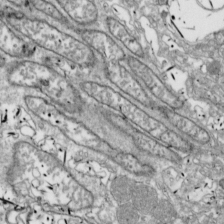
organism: Drosophila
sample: Cell division; meiosis; drosophila spermatocytes